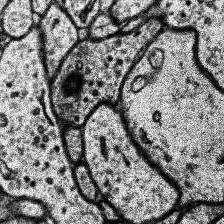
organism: Human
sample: Temporal Lobe